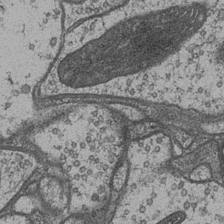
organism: Drosophila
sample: Optic medulla